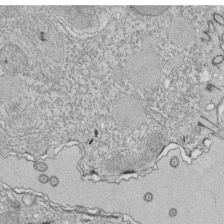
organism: Tetrahymena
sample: Cilia in tetrahymena